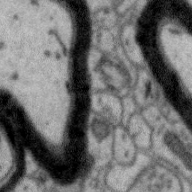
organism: Zebra finch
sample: Brain